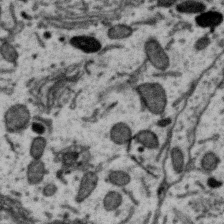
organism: Zebra finch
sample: Brain